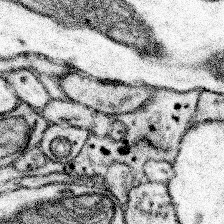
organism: Mouse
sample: Somatosensory cortex neuropil